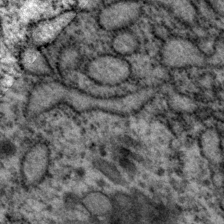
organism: P. pacificus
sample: Pharynx